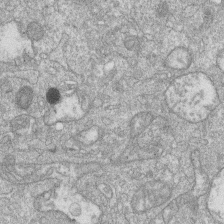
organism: Human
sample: HeLa cell HIV synapse